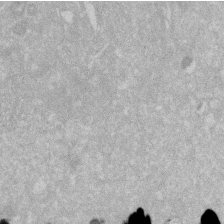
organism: Human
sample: HIV infected U937 cells